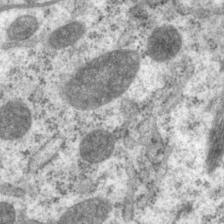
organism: P. pacificus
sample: Pharynx